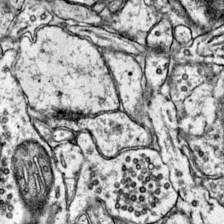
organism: Mouse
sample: Primary visual cortex